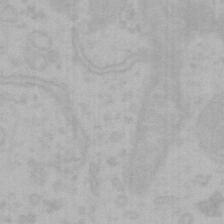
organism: Mouse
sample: Choroid plexus